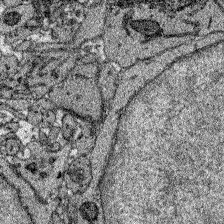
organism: Zebrafish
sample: Larval olfactory bulb